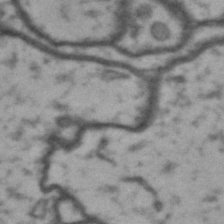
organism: Drosophila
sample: Brain